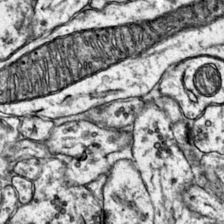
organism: Mouse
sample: Primary visual cortex